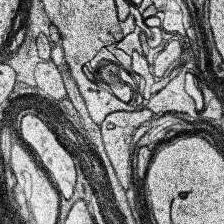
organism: Human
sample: Temporal Lobe